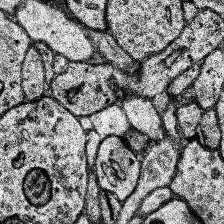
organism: Human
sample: Temporal Lobe